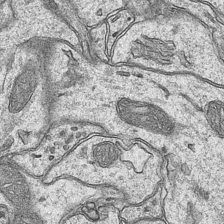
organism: Mouse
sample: CA1 Hippocampus